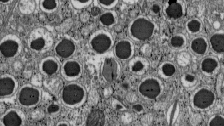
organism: C57BL Mouse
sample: Pancreatic islet